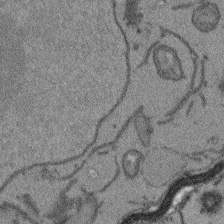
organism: Arabidopsis thaliana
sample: Root tip